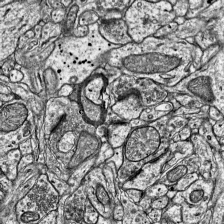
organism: Mouse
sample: Visual Cortex